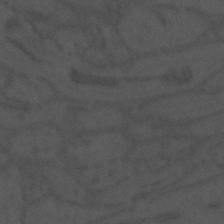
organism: Mouse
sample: Suprachiasmatic nucleus